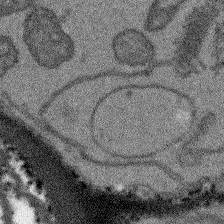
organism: Arabidopsis thaliana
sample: Root tip